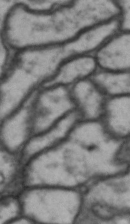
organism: Drosophila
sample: Brain